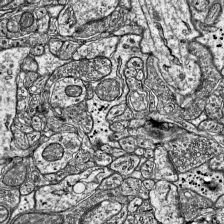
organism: Mouse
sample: Visual Cortex